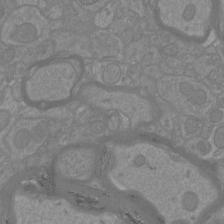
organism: Mouse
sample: Cortical neurons